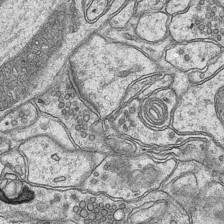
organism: Mouse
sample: CA1 Hippocampus